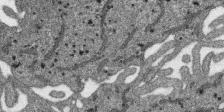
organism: Human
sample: Lung epithelial cells infected with SARS-CoV-2